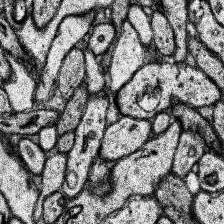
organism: Human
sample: Temporal Lobe